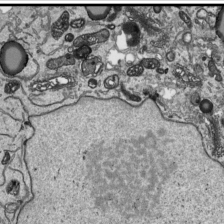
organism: Human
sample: Mitochondria in HCT116 cells